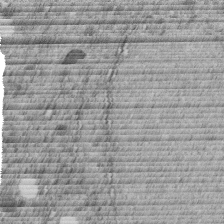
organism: C. elegans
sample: C. elegans embryo early stage